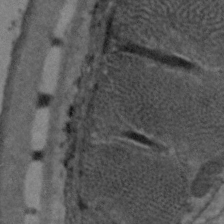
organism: C. elegans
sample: Pharynx